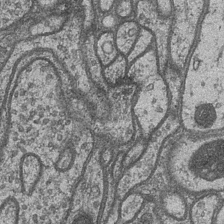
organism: Drosophila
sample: Optic medulla